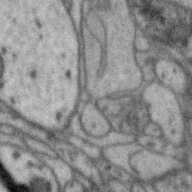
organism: Zebra finch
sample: Brain